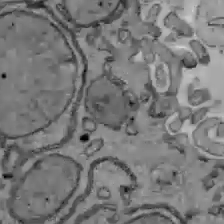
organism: C57BL Mouse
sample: Liver